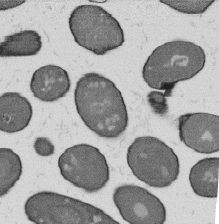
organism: B. subtilis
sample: Bacterial spore